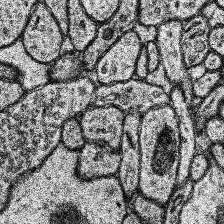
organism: Human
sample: Temporal Lobe